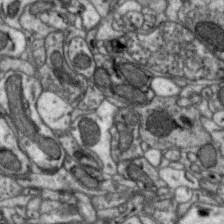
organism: Zebra finch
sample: Brain